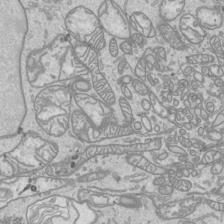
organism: Human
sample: Mitochondria in HCT116 cells